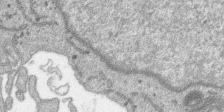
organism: Human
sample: Lung epithelial cells infected with SARS-CoV-2